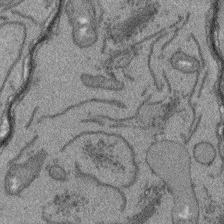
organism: Arabidopsis thaliana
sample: Root tip